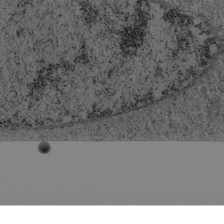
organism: African green monkey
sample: COS-7 cells